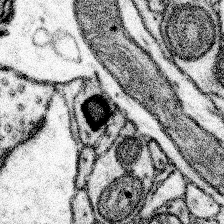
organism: Mouse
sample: Somatosensory cortex neuropil